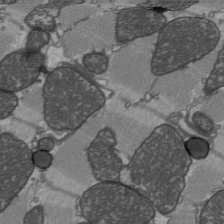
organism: C57BL Mouse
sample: Heart